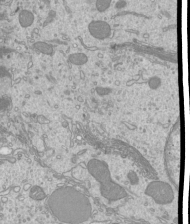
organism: Mouse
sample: Cilia; mouse epididymis